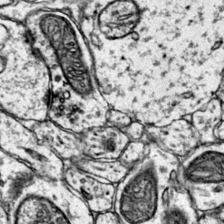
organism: Mouse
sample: Primary visual cortex